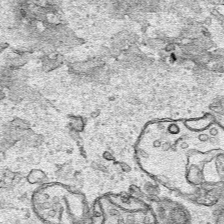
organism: Human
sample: Mitochondria in HCT116 cells